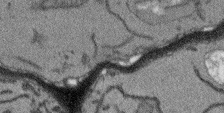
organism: Arabidopsis thaliana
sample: Root tip